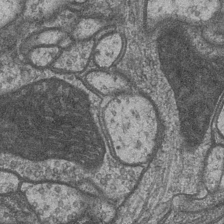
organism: Drosophila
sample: Optic medulla